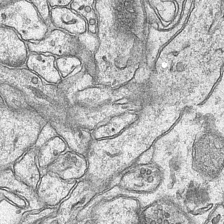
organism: Mouse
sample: CA1 Hippocampus